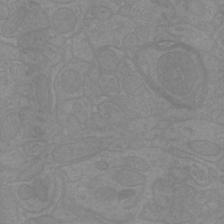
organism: Mouse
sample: Cortical neurons